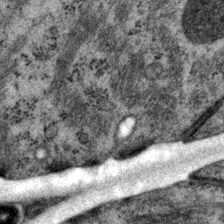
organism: P. pacificus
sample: Pharynx